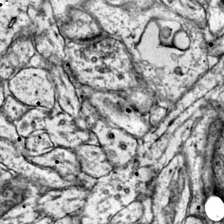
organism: Mouse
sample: Primary visual cortex